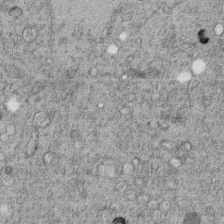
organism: C. elegans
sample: C. elegans embryo early stage